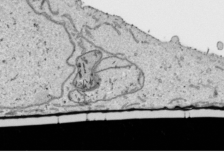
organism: Human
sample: Mitochondria in HCT116 cells